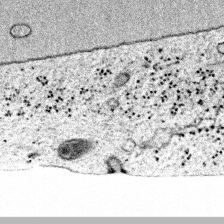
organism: Human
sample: HeLa cells